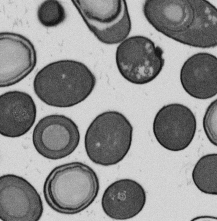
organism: B. subtilis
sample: Bacterial spore